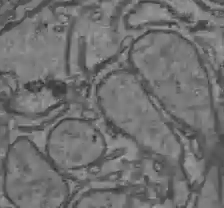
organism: C57BL Mouse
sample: Liver